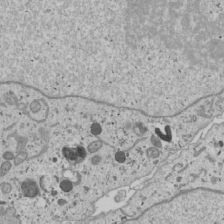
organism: Human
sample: Mitochondria in U2OS cells